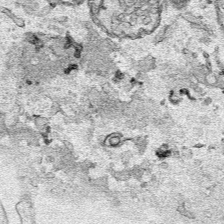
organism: Human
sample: Mitochondria in HCT116 cells